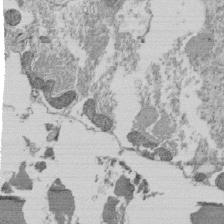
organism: Tetrahymena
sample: Cilia in tetrahymena